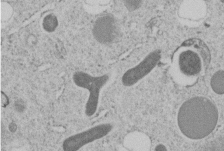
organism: C. elegans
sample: C. elegans embryo early stage